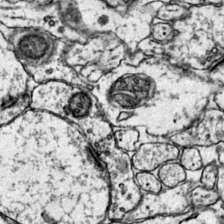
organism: Mouse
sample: Primary visual cortex